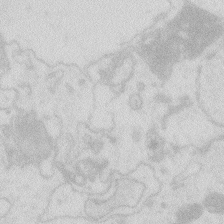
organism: Zebrafish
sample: Macrophage